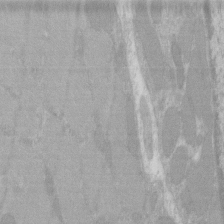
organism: C57BL Mouse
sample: Tibialis anterior muscle cell